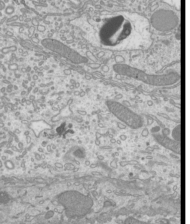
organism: Mouse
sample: Cilia; mouse epididymis